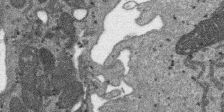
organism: Human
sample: Lung epithelial cells infected with SARS-CoV-2